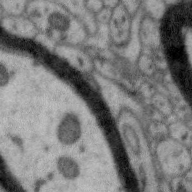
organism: Zebra finch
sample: Brain